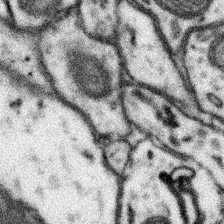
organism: Mouse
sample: Somatosensory cortex neuropil